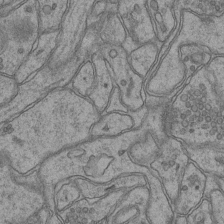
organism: Mouse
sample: CA1 Hippocampus